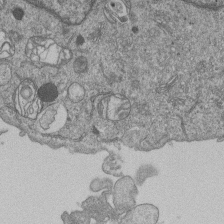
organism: Human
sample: MDA-MB-231 cells